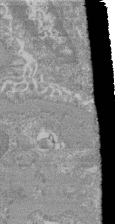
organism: Mouse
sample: Glomerulus